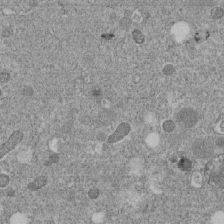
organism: C. elegans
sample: C. elegans embryo early stage